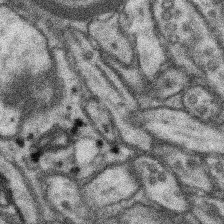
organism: Mouse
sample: Somatosensory cortex neuropil